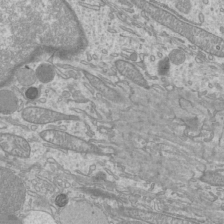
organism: Mouse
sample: Cilia; mouse epididymis